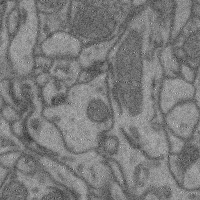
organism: Mouse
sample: Cerebral cortex